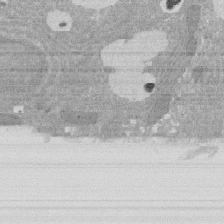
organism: Rat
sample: Salivary granule